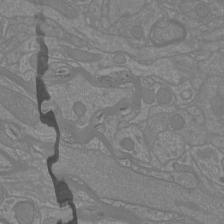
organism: Mouse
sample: Cortical neurons